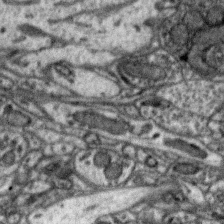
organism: Zebra finch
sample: Brain